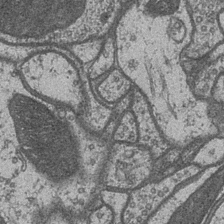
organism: Drosophila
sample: Optic medulla